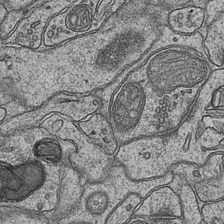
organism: Mouse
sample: CA1 Hippocampus